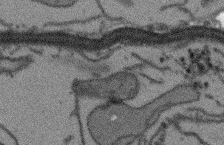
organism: Arabidopsis thaliana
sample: Root tip